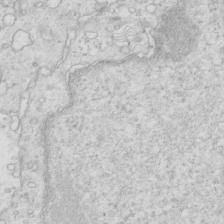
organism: Mouse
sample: Multiciliated cells